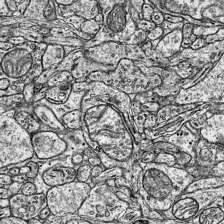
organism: Mouse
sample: Visual Cortex